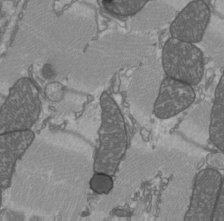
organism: C57BL Mouse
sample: Heart